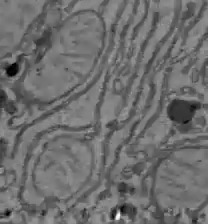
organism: C57BL Mouse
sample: Liver